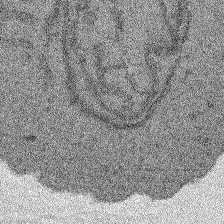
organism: Human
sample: HeLa cells